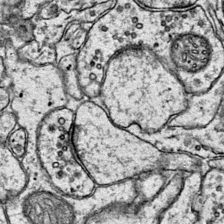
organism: Mouse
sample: Primary visual cortex